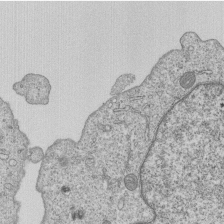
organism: Human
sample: MDA-MB-231 cells